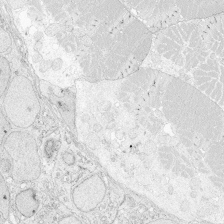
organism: Zebrafish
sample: Whole-Brain